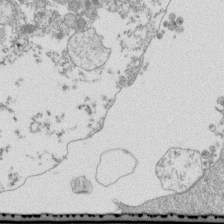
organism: Human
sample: HeLa cell HIV synapse